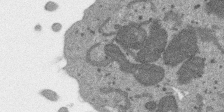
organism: Human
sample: Lung epithelial cells infected with SARS-CoV-2